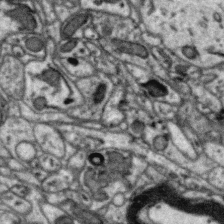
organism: Zebra finch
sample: Brain